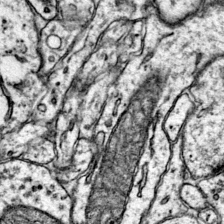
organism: Mouse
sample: Primary visual cortex